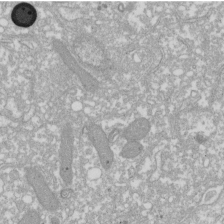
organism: Xenopus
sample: Cilia; centrioles in frog embryo cells